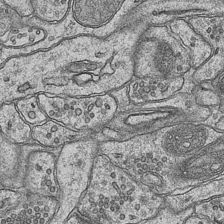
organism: Mouse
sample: CA1 Hippocampus